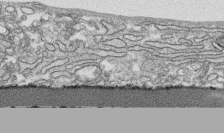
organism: Human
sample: CRL-1474